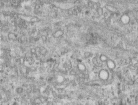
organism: Human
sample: Centriole in RPE cells